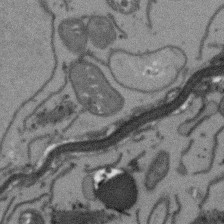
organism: Arabidopsis thaliana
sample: Root tip